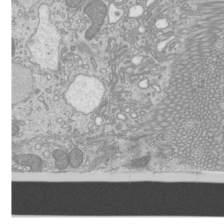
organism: Mouse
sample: Cilia; mouse epididymis